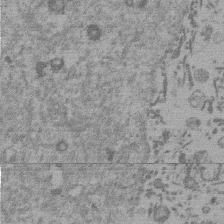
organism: Mouse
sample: Dividing mouse embryo 1 cell stage